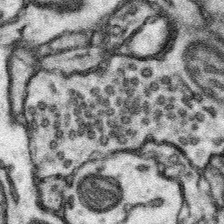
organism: Mouse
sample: Somatosensory cortex neuropil